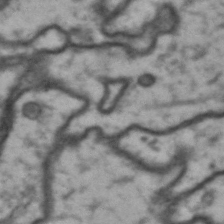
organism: Drosophila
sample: Brain